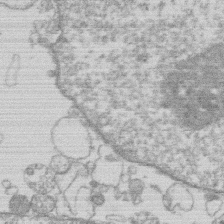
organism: Human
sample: Macrophage cells